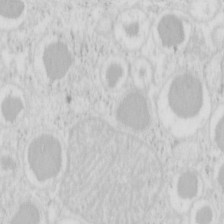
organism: Mouse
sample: Pancreas